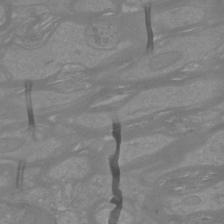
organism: Mouse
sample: Cortical neurons